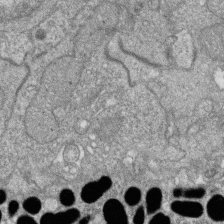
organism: Zebrafish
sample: Cilia; retinal pigment epithelium